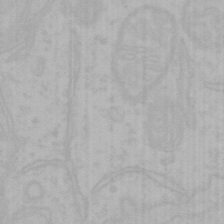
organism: Mouse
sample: Choroid plexus